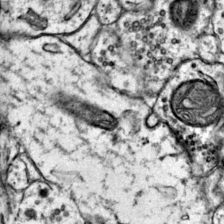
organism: Mouse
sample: Primary visual cortex